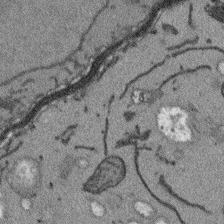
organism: Arabidopsis thaliana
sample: Root tip